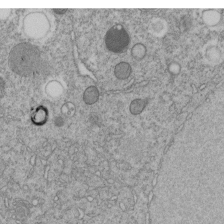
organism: C. elegans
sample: C. elegans embryo early stage